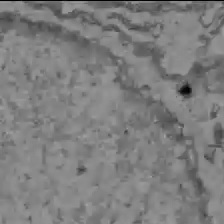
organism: C57BL Mouse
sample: Liver